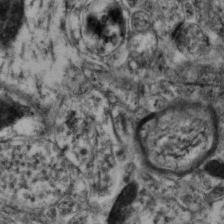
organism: Mouse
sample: Neocortex